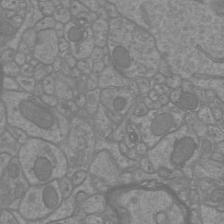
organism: Mouse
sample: Cortical neurons